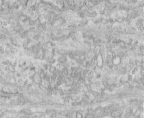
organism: Human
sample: Centriole in fibroblast cells